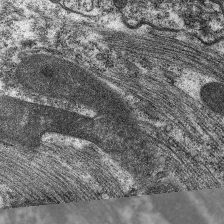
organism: C. elegans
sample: Pharynx